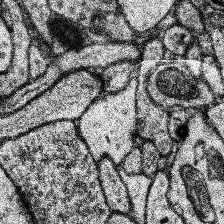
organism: Human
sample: Temporal Lobe